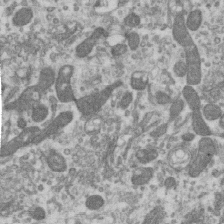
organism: Human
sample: Centriole in RPE cells